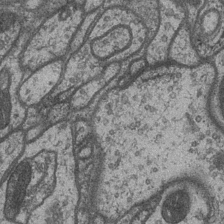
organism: Drosophila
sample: Optic medulla